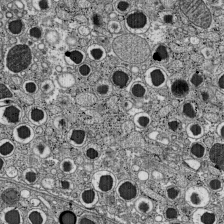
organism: C57BL Mouse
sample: Pancreatic islet